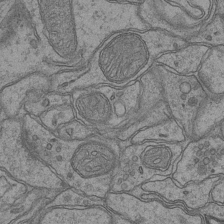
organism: Mouse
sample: CA1 Hippocampus